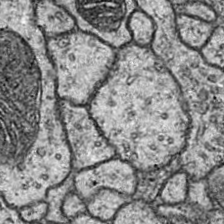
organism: Drosophila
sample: Ventral Nerve Cord